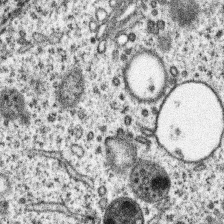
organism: Human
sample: HeLa cells